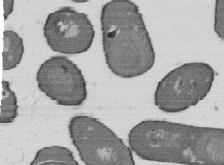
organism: B. subtilis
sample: Bacterial spore